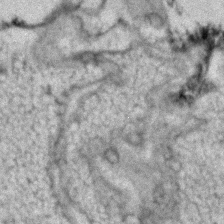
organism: Human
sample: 1205lu cells